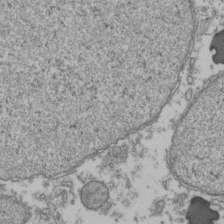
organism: Human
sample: Activated Jurkat CD4+ T cells